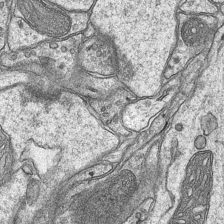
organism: Mouse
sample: CA1 Hippocampus